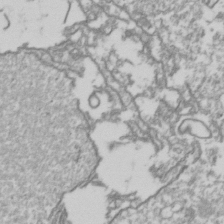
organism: Drosophila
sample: Cell division; meiosis; drosophila spermatocytes